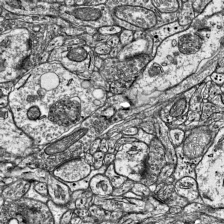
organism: Mouse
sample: Visual Cortex